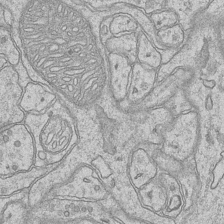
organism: Mouse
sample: CA1 Hippocampus